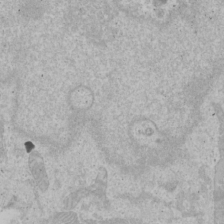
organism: Human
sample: Mitochondria in U2OS cells